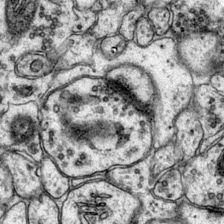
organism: Mouse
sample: Primary visual cortex